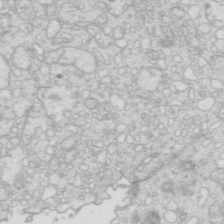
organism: Mouse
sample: Multiciliated cells